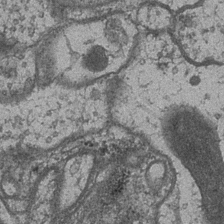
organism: Drosophila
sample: Optic medulla